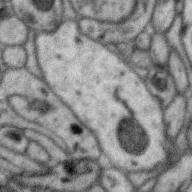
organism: Zebra finch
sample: Brain